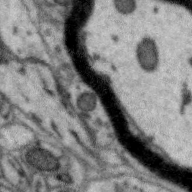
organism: Zebra finch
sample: Brain